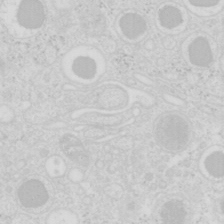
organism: Mouse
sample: Pancreas